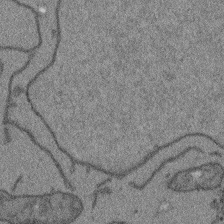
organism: Arabidopsis thaliana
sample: Root tip